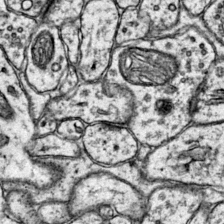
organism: Mouse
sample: Primary visual cortex